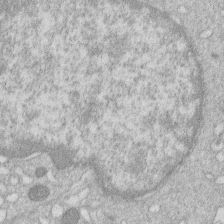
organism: Human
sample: Macrophage cells